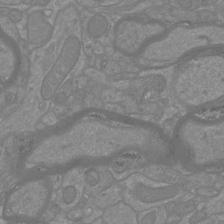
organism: Mouse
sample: Cortical neurons